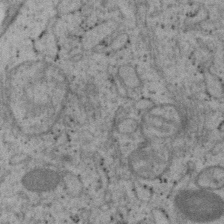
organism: Human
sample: HeLa cells